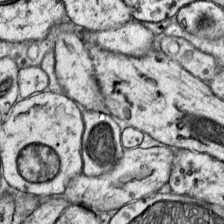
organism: Mouse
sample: Primary visual cortex